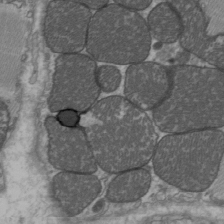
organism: C57BL Mouse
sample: Heart